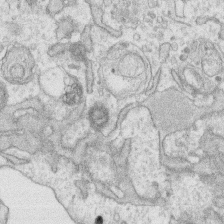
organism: Human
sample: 1205lu cells